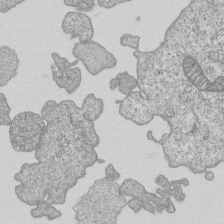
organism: Human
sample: MDA-MB-231 cells